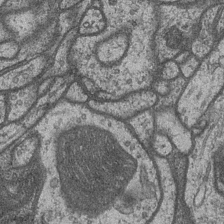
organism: Drosophila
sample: Optic medulla